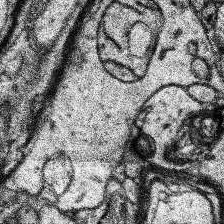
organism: Human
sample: Temporal Lobe